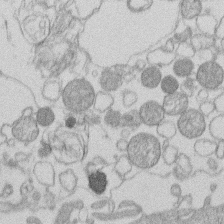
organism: Human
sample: Macrophage cells